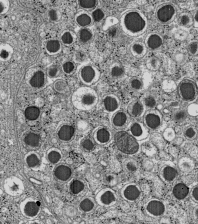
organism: C57BL Mouse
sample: Pancreatic islet